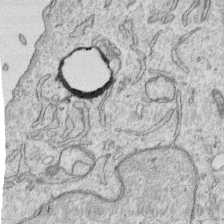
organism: Human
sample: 1205lu cells